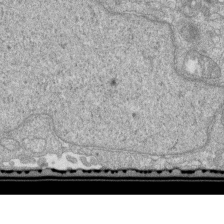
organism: Human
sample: HeLa cell HIV synapse